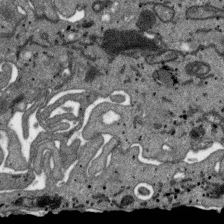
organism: Human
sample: Lung epithelial cells, uninfected (mock) control